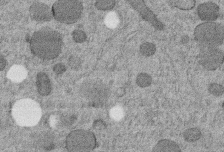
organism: C. elegans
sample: C. elegans embryo early stage